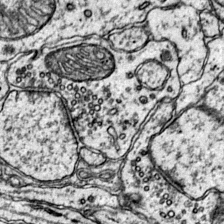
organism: Mouse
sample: Primary visual cortex